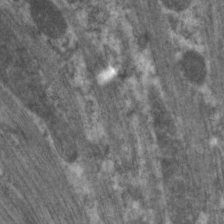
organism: C. elegans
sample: Pharynx